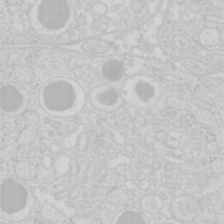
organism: Mouse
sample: Pancreas